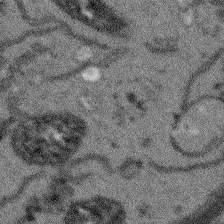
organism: Arabidopsis thaliana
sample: Root tip